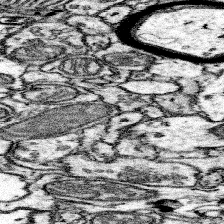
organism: Mouse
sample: Somatosensory cortex neuropil